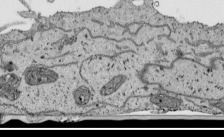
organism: Human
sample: Mitochondria in HCT116 cells